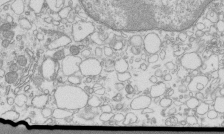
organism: Mouse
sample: Macrophages